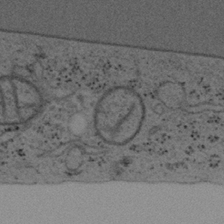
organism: Human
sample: HeLa cells